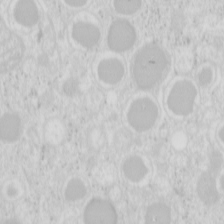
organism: Mouse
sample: Pancreas